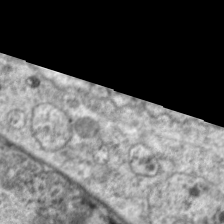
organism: C. elegans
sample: Pharynx